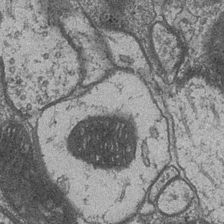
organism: Drosophila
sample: Optic medulla